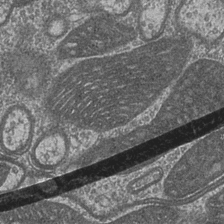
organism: Drosophila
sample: Optic medulla